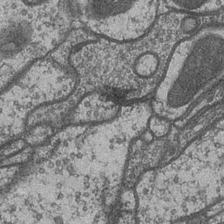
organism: Drosophila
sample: Optic medulla